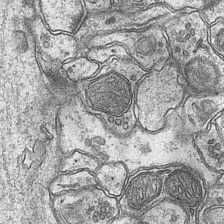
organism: Mouse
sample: CA1 Hippocampus